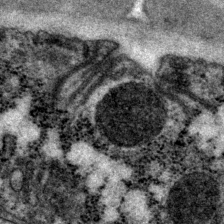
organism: P. pacificus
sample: Pharynx